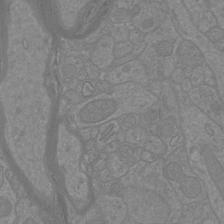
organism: Mouse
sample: Cortical neurons